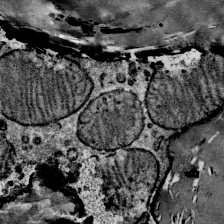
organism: Mouse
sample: Mouse Salivary gland